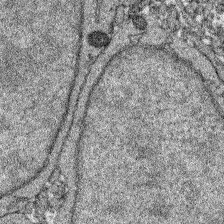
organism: Zebrafish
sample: Larval olfactory bulb